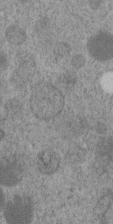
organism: C. elegans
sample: C. elegans embryo early stage